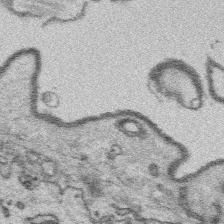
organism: Platynereis dumerilii